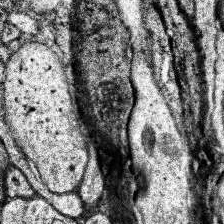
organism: Human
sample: Temporal Lobe